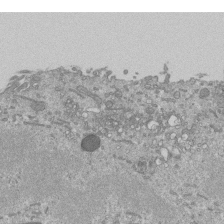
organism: Mouse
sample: ED-1 cell nuclei; centrioles